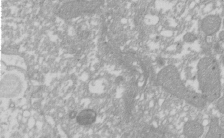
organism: Xenopus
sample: Cilia; centrioles in frog embryo cells